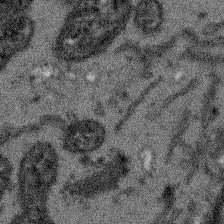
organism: Arabidopsis thaliana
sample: Root tip